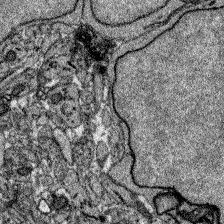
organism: Zebrafish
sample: Larval olfactory bulb